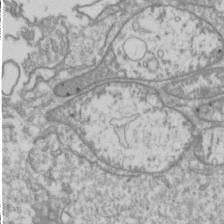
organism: Drosophila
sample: Cell division; meiosis; drosophila spermatocytes